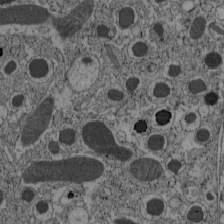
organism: C57BL Mouse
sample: Pancreatic islet